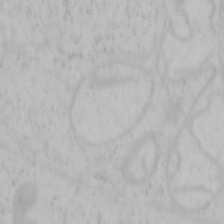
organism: Human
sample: HeLa cells